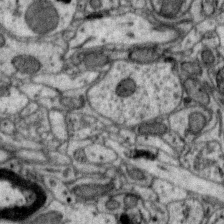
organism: Zebra finch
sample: Brain